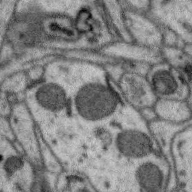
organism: Zebra finch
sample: Brain